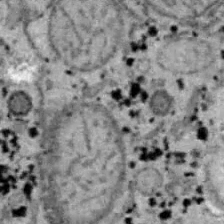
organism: Mouse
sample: Liver from an obese (ob/ob) mouse